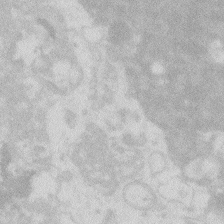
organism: Zebrafish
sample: Macrophage